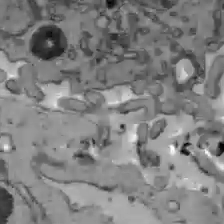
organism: C57BL Mouse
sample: Liver